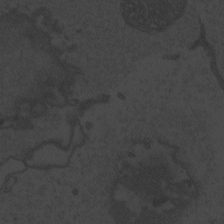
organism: Zebrafish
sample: Macrophage infected with Toxoplasma gondii